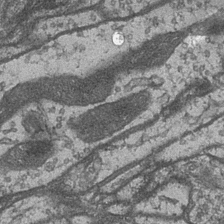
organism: Drosophila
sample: Optic medulla